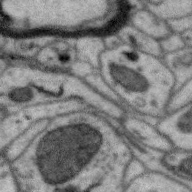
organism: Zebra finch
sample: Brain